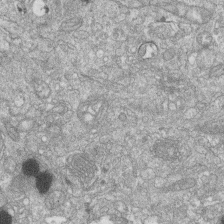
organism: Human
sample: HeLa cell HIV synapse